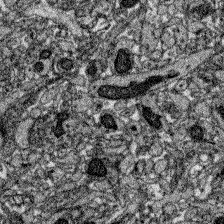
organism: Zebrafish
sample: Larval olfactory bulb